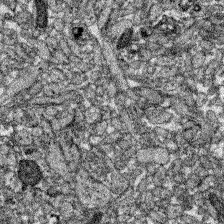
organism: Zebrafish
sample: Larval olfactory bulb